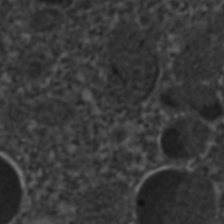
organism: C. elegans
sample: C. elegans embryo